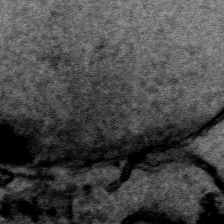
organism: Human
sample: Mitochondria in HCT116 cells